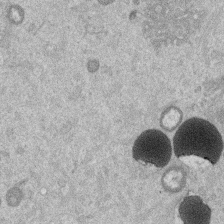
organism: Mouse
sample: Dividing mouse embryo 1 cell stage